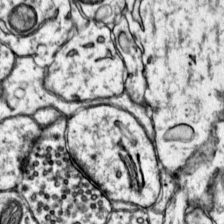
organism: Mouse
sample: Primary visual cortex